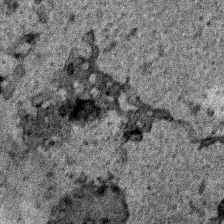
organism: Human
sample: Mitochondria in HCT116 cells